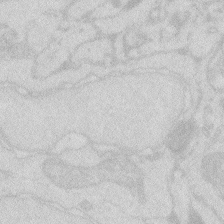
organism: Zebrafish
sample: Macrophage